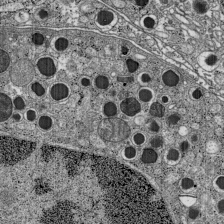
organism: C57BL Mouse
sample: Pancreatic islet